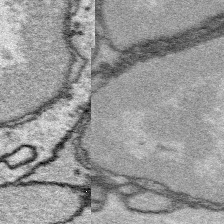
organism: Platynereis dumerilii